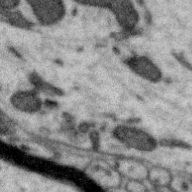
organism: Zebra finch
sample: Brain